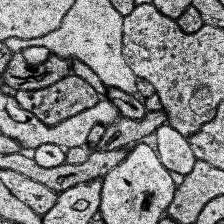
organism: Human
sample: Temporal Lobe